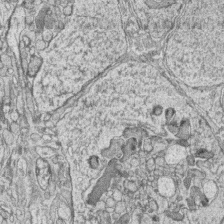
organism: Zebrafish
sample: synaptic ribbons in rod cells and cone cells